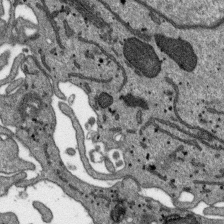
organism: Human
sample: Lung epithelial cells, uninfected (mock) control